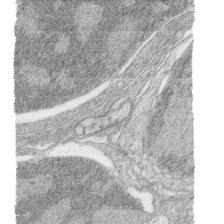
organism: Zebrafish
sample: synaptic ribbons in rod cells and cone cells